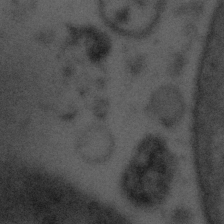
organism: Tuwongella immobilis